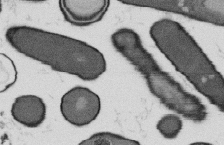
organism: B. subtilis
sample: Bacterial spore